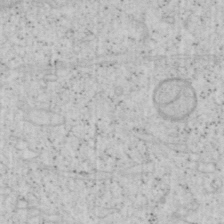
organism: Human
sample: HeLa cells